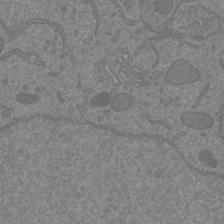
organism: Mouse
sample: Cortical neurons